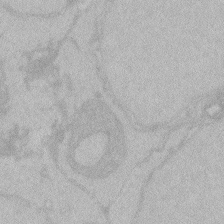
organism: Zebrafish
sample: Macrophage infected with Toxoplasma gondii